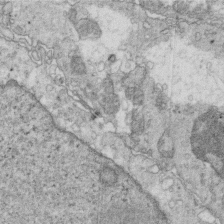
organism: Mouse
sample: Multiciliated cells